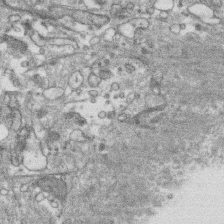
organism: Human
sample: CRL-1474